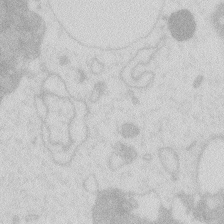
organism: Zebrafish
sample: Macrophage